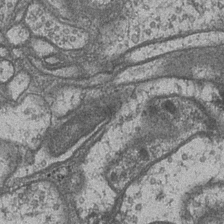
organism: Drosophila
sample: Optic medulla